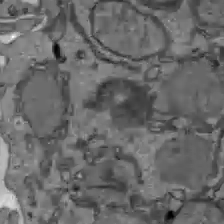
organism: C57BL Mouse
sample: Liver